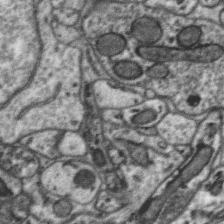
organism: Zebra finch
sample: Brain